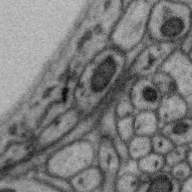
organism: Zebra finch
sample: Brain